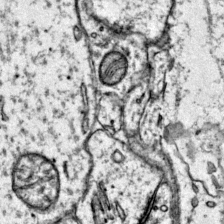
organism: Mouse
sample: Primary visual cortex